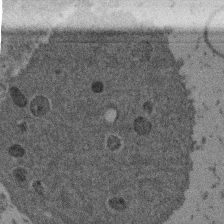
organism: Mouse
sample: Dividing mouse embryo 1 cell stage